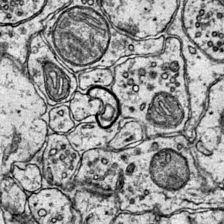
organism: Mouse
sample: Primary visual cortex